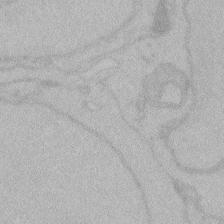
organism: Zebrafish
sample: Macrophage infected with Toxoplasma gondii